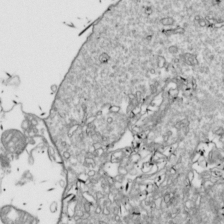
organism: Drosophila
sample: Cell division; meiosis; drosophila spermatocytes